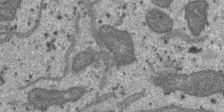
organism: Human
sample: Lung epithelial cells infected with SARS-CoV-2